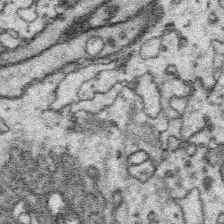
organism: Platynereis dumerilii